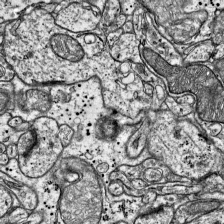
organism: Mouse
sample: Visual Cortex